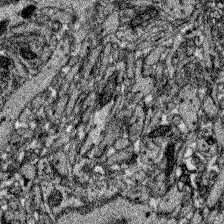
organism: Zebrafish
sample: Larval olfactory bulb